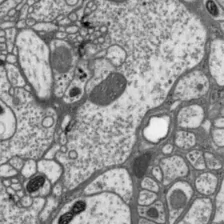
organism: Drosophila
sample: Protocerebral bridge